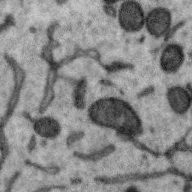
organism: Zebra finch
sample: Brain